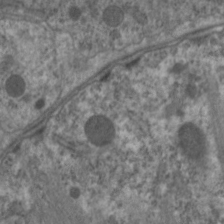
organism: C. elegans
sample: Pharynx